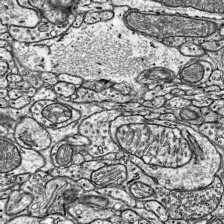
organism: Mouse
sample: Visual Cortex